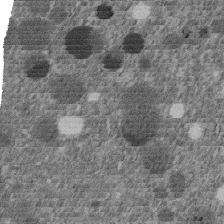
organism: C. elegans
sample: C. elegans embryo early stage